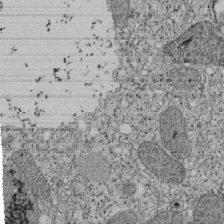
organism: Tetrahymena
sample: Cilia in tetrahymena